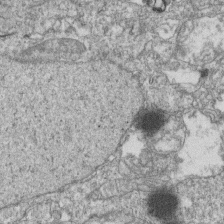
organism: Human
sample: HeLa cell HIV synapse